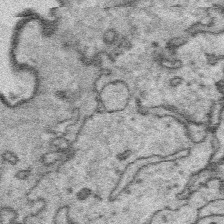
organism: Platynereis dumerilii